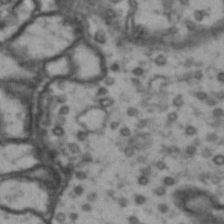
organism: Drosophila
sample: Brain